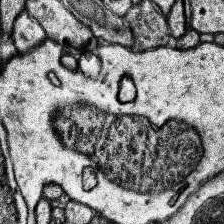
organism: Human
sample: Temporal Lobe